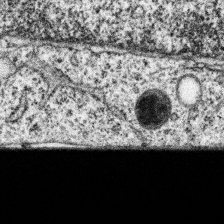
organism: Human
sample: HeLa cells